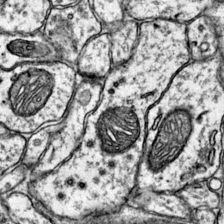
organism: Mouse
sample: Primary visual cortex